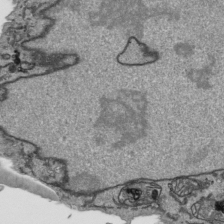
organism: Human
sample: Mitochondria in HCT116 cells